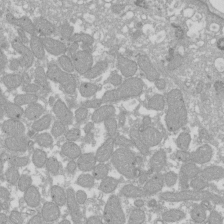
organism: Xenopus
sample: Cilia; centrioles in frog embryo cells